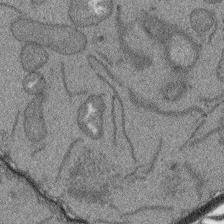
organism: Arabidopsis thaliana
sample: Root tip